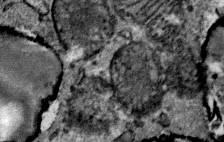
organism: Mouse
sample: Mouse Salivary gland